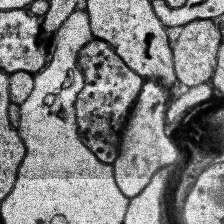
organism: Human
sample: Temporal Lobe